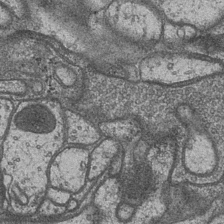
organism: Drosophila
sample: Optic medulla